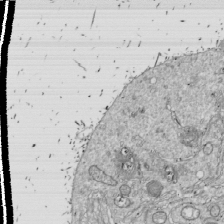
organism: Drosophila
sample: Cell division; meiosis; drosophila spermatocytes